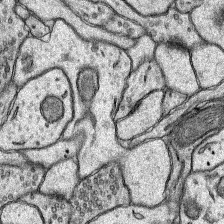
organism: Rat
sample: Hippocampus